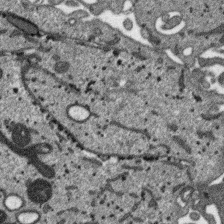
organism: Human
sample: Lung epithelial cells infected with SARS-CoV-2